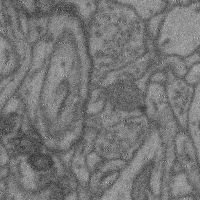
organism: Mouse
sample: Cerebral cortex